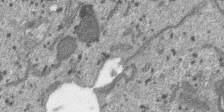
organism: Human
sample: Lung epithelial cells infected with SARS-CoV-2